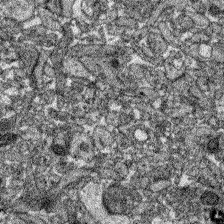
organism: Zebrafish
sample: Larval olfactory bulb